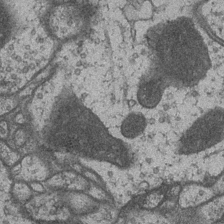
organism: Drosophila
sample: Optic medulla